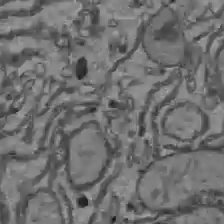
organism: C57BL Mouse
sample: Liver